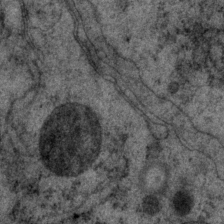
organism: P. pacificus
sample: Pharynx